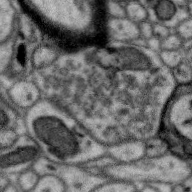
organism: Zebra finch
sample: Brain